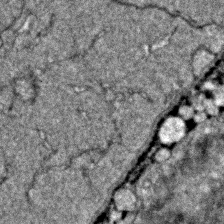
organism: Zebrafish